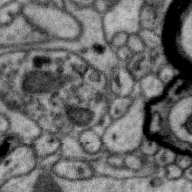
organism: Zebra finch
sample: Brain